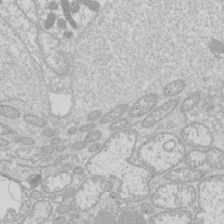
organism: Drosophila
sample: Cell division; meiosis; drosophila spermatocytes